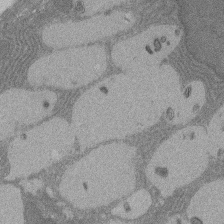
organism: Rat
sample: Salivary granule